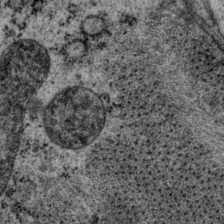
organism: P. pacificus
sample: Pharynx